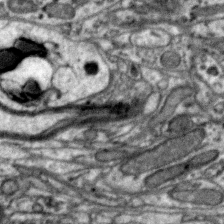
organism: Zebra finch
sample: Brain